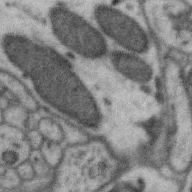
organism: Zebra finch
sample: Brain